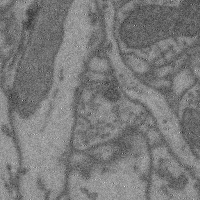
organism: Mouse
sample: Cerebral cortex